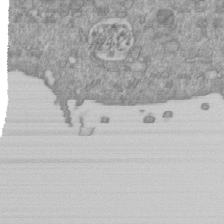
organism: Mouse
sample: ED-1 cell nuclei; centrioles